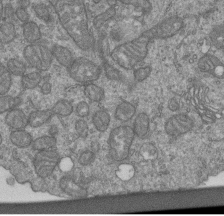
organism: Human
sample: Retinal organoid Rod and Cone cells